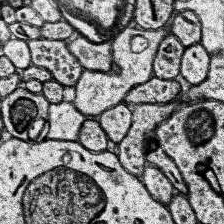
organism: Human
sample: Temporal Lobe